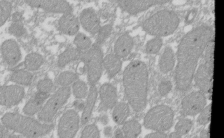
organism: Xenopus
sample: Cilia; centrioles in frog embryo cells